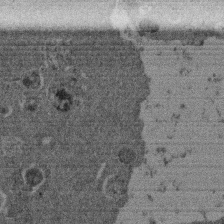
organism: Mouse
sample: Dividing mouse embryo 1 cell stage